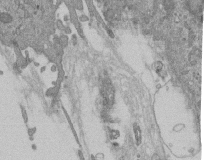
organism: Mouse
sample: ED-1 cell nuclei; centrioles